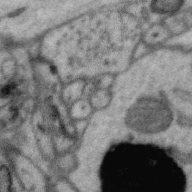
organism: Zebra finch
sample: Brain